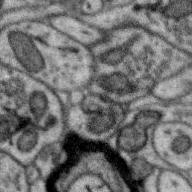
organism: Zebra finch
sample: Brain